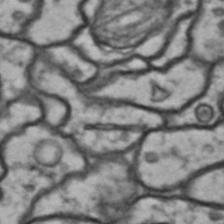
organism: Drosophila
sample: Brain